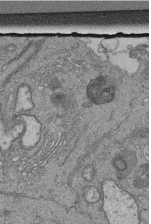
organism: Human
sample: Retinal organoid Rod and Cone cells